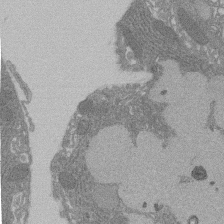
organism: Rat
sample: Salivary granule